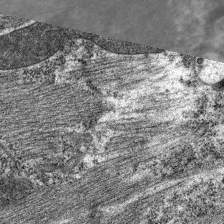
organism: C. elegans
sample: Pharynx